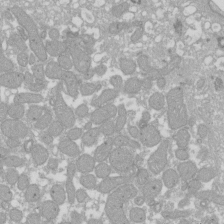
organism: Xenopus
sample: Cilia; centrioles in frog embryo cells